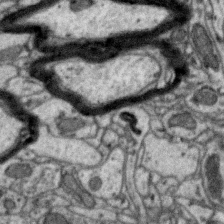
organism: Zebra finch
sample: Brain